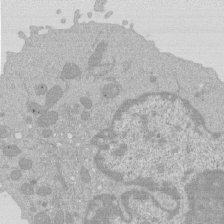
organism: Mouse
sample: Activated Pmel transgenic CD8+ T Cells